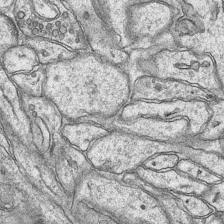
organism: Mouse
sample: CA1 Hippocampus